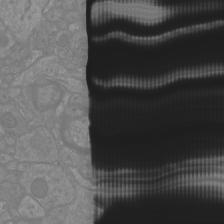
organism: Mouse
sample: Cortical neurons